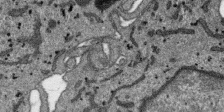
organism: Human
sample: Lung epithelial cells, uninfected (mock) control